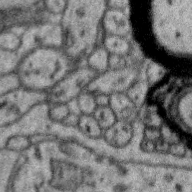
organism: Zebra finch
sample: Brain